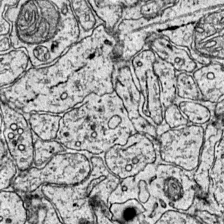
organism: Mouse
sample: Primary visual cortex